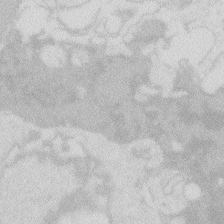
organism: Zebrafish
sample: Macrophage